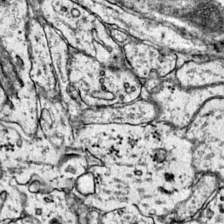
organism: Mouse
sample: Primary visual cortex